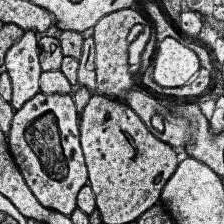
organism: Human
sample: Temporal Lobe